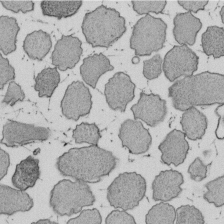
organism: E. coli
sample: Bacterial nucleoid